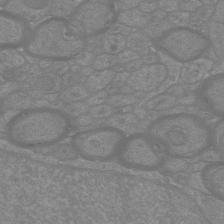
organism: Mouse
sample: Cortical neurons